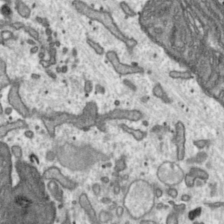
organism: Toxoplasma gondii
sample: Parasites in a vacuole inside a host cell